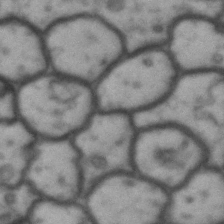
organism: Drosophila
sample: Brain